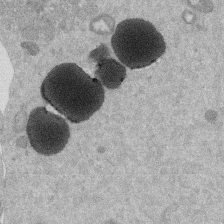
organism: Mouse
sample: Dividing mouse embryo 1 cell stage